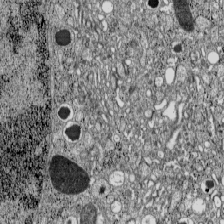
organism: C57BL Mouse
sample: Pancreatic islet